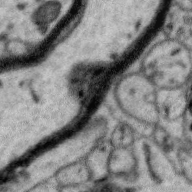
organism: Zebra finch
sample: Brain